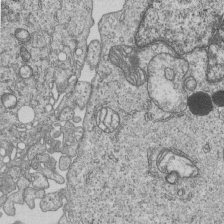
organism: Human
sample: MDA-MB-231 cells